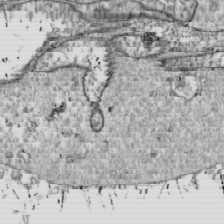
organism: Drosophila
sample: Cell division; meiosis; drosophila spermatocytes